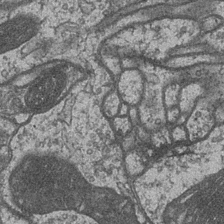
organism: Drosophila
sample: Optic medulla